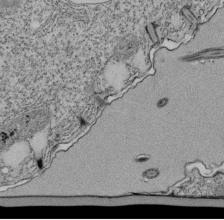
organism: Tetrahymena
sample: Cilia in tetrahymena